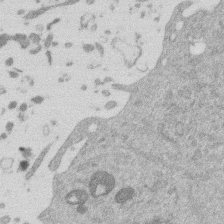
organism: Mouse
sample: Dividing mouse embryo 1 cell stage